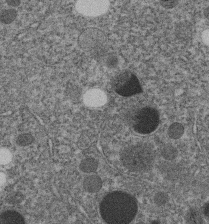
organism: C. elegans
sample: C. elegans embryo early stage